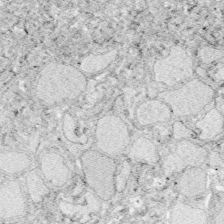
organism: Zebrafish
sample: Whole-Brain